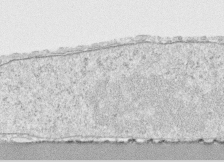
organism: Human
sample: CRL-1474